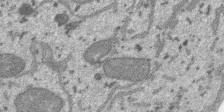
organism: Human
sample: Lung epithelial cells infected with SARS-CoV-2